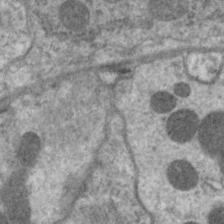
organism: C. elegans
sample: Pharynx